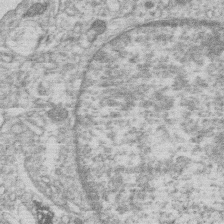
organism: Human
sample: Macrophage cells